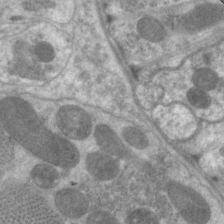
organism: C. elegans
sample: Pharynx